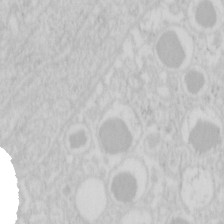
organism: Mouse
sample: Pancreas